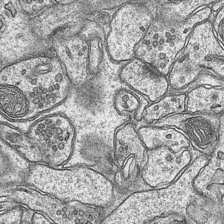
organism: Mouse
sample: CA1 Hippocampus